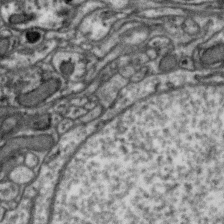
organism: Zebra finch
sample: Brain